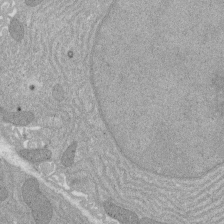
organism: Rat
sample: Salivary granule